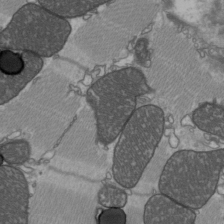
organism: C57BL Mouse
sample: Heart